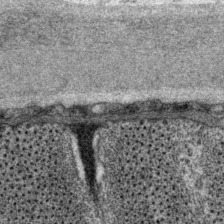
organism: P. pacificus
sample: Pharynx